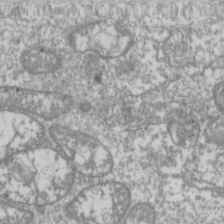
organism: Drosophila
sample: Cell division; meiosis; drosophila spermatocytes